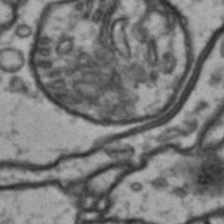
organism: Drosophila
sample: Brain